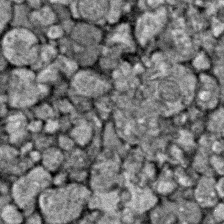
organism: Zebrafish